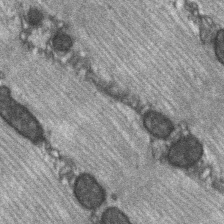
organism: C57BL Mouse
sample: Soleus